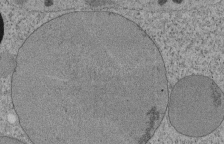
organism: Tetrahymena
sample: Cilia in tetrahymena